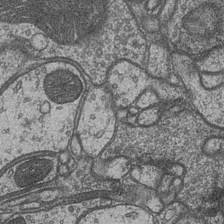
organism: Drosophila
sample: Optic medulla